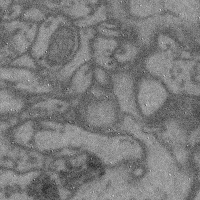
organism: Mouse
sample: Cerebral cortex